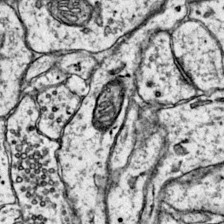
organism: Mouse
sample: Primary visual cortex